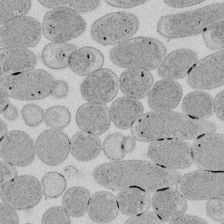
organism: E. coli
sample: Bacterial nucleoid